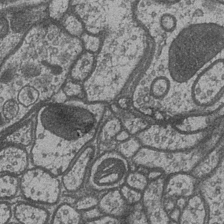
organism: Drosophila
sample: Optic medulla